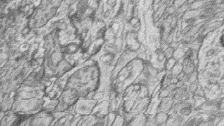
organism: Zebrafish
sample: synaptic ribbons in rod cells and cone cells